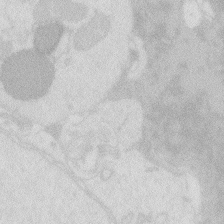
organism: Zebrafish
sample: Macrophage